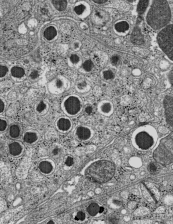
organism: C57BL Mouse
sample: Pancreatic islet